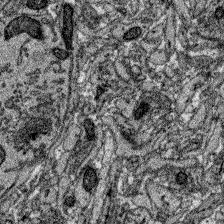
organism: Zebrafish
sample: Larval olfactory bulb